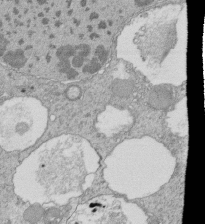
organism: Tetrahymena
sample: Cilia in tetrahymena